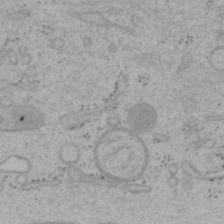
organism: Human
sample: HeLa cells